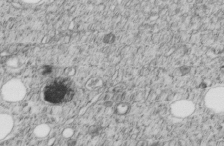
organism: C. elegans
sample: C. elegans embryo early stage